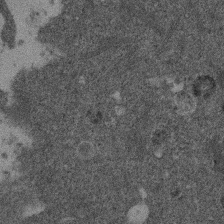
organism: Mouse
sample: Dividing mouse embryo 1 cell stage